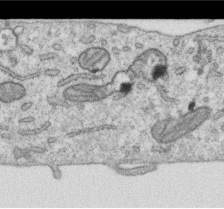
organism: Human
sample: Centriole in RPE cells